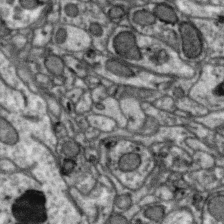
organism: Zebra finch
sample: Brain